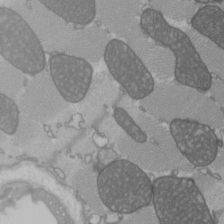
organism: C57BL Mouse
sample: Heart